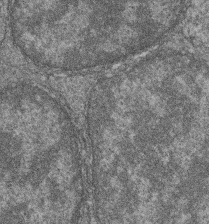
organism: Zebrafish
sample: Cilia; retinal pigment epithelium